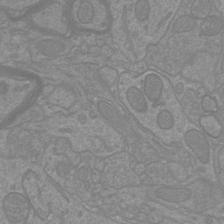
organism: Mouse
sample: Cortical neurons